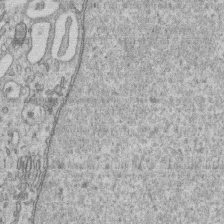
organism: Human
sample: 1205lu cells